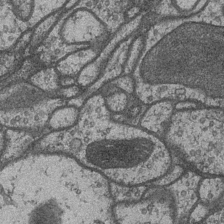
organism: Drosophila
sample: Optic medulla